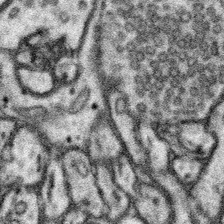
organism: Mouse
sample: Somatosensory cortex neuropil